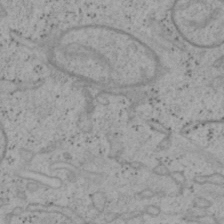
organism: Human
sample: HeLa cells